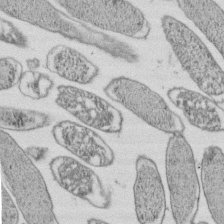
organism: E. coli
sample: Bacterial nucleoid